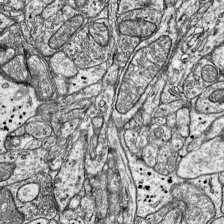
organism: Mouse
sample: Visual Cortex